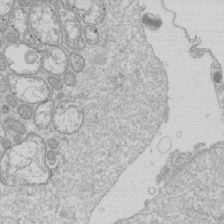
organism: Drosophila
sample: Cell division; meiosis; drosophila spermatocytes